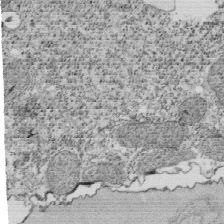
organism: Tetrahymena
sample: Cilia in tetrahymena